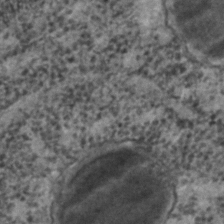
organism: C. elegans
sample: C. elegans embryo